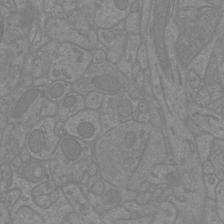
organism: Mouse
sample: Cortical neurons